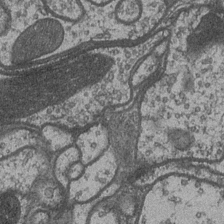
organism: Drosophila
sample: Optic medulla